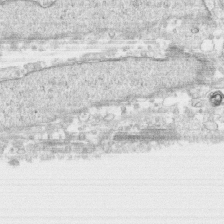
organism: Human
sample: CRL-1474